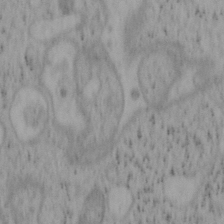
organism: Mouse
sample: OT-I killer T cells with ID8 ovarian cancer cells